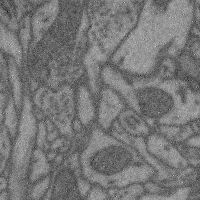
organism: Mouse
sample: Cerebral cortex